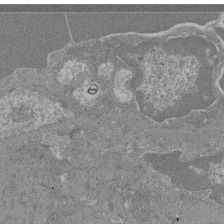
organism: Mouse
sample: Glomerulus